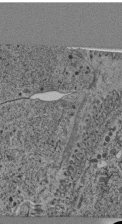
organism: C. elegans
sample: C. elegans pharynx